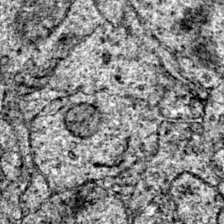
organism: Mouse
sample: Primary visual cortex